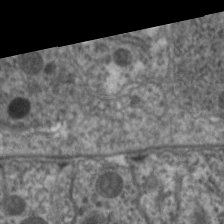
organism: C. elegans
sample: Pharynx